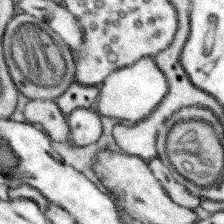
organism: Mouse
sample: Somatosensory cortex neuropil